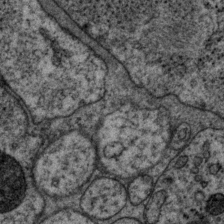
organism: P. pacificus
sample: Pharynx